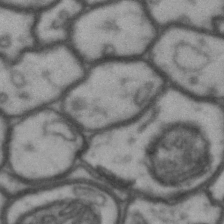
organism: Drosophila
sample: Brain